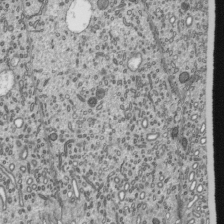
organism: Mouse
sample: Mouse epididymis efferent ductule cilia